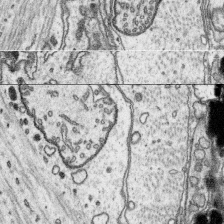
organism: Platynereis dumerilii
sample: Parapodia